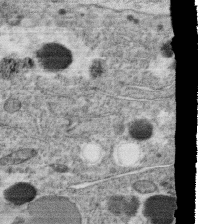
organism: C. elegans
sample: C. elegans oocyte; sperm cells